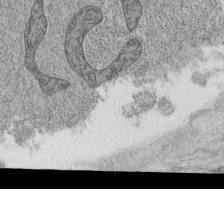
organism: C. elegans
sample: C. elegans oocyte; sperm cells